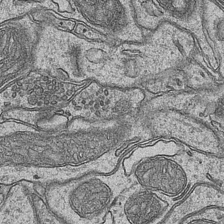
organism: Mouse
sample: CA1 Hippocampus